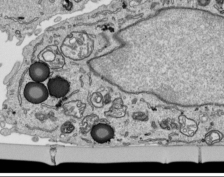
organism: Human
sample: Mitochondria in HCT116 cells